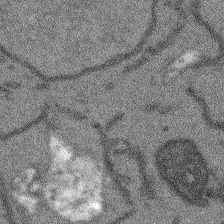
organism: Arabidopsis thaliana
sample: Root tip